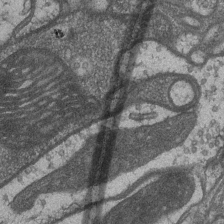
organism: Drosophila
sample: Optic medulla